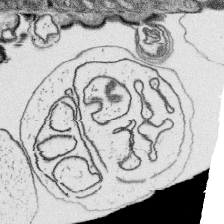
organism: Platynereis dumerilii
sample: Parapodia